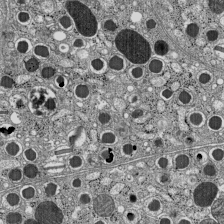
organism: C57BL Mouse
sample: Pancreatic islet